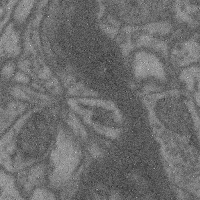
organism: Mouse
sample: Cerebral cortex